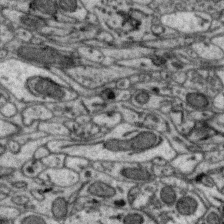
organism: Zebra finch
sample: Brain